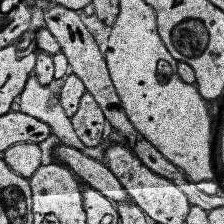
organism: Human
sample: Temporal Lobe